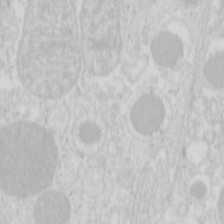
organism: Mouse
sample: Pancreas